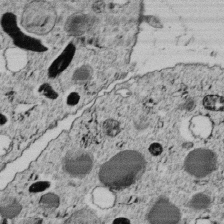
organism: C. elegans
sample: C. elegans embryo early stage